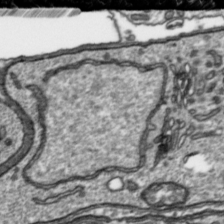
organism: Toxoplasma gondii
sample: Parasites in a vacuole inside a host cell